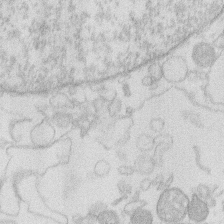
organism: Human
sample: Macrophage cells